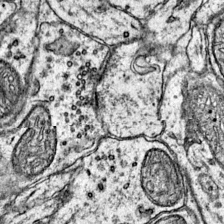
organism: Mouse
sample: Primary visual cortex